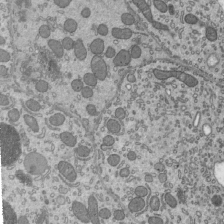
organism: Mouse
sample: Mouse epididymis efferent ductule cilia